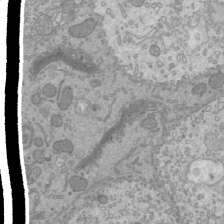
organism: Mouse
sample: Cilia; mouse epididymis